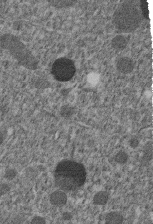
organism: C. elegans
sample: C. elegans embryo early stage